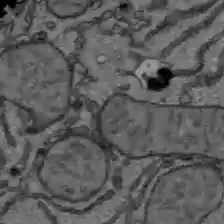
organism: C57BL Mouse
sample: Liver